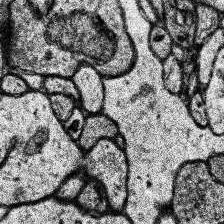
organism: Human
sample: Temporal Lobe